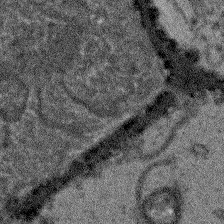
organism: Arabidopsis thaliana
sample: Root tip